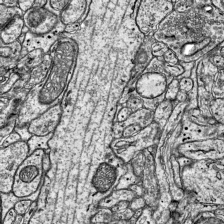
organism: Mouse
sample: Visual Cortex